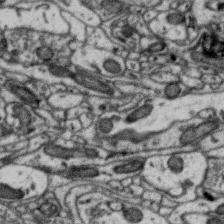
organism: Zebra finch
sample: Brain